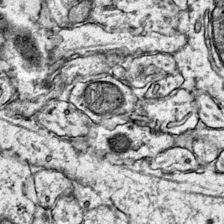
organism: Mouse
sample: Primary visual cortex